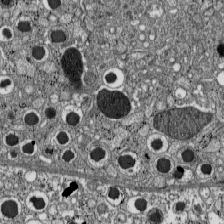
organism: C57BL Mouse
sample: Pancreatic islet